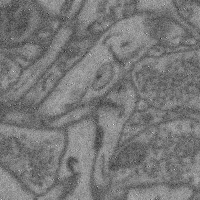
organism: Mouse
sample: Cerebral cortex